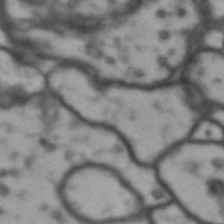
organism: Drosophila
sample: Brain